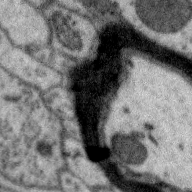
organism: Zebra finch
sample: Brain